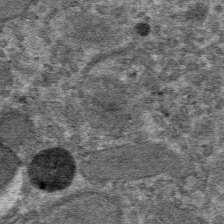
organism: Mouse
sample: Mouse hepatocytes